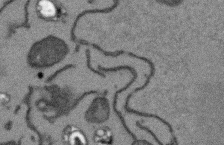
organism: Arabidopsis thaliana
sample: Root tip